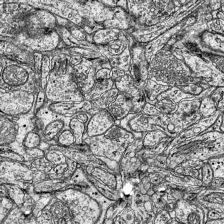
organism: Mouse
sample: Visual Cortex